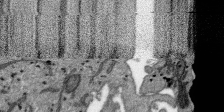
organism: Human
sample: Lung epithelial cells, uninfected (mock) control